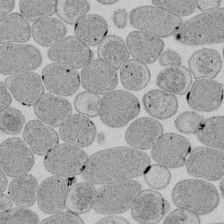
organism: E. coli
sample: Bacterial nucleoid